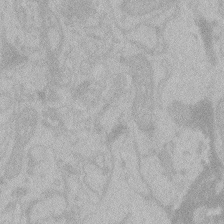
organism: Zebrafish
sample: Macrophage infected with Toxoplasma gondii